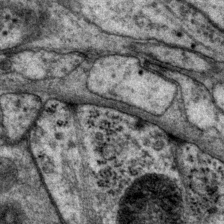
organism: P. pacificus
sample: Pharynx